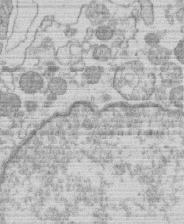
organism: Human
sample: Macrophage cells